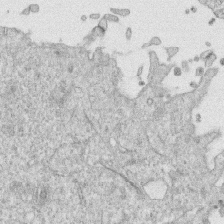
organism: Human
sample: HeLa cell HIV synapse